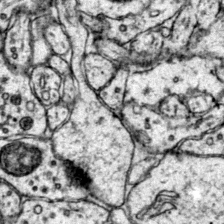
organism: Mouse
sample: Primary visual cortex